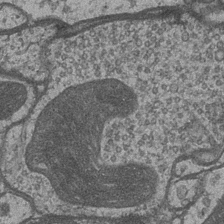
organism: Drosophila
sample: Optic medulla